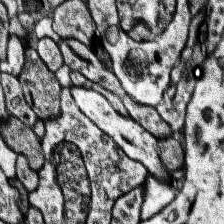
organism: Human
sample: Temporal Lobe